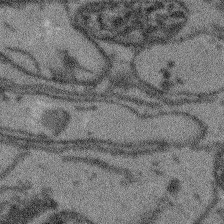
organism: Arabidopsis thaliana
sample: Root tip